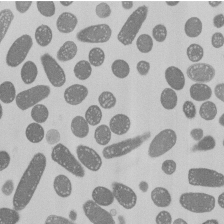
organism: E. coli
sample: Bacterial nucleoid